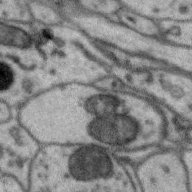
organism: Zebra finch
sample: Brain